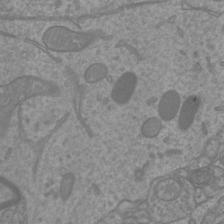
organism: Mouse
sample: Cortical neurons